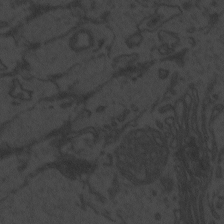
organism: Zebrafish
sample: Macrophage infected with Toxoplasma gondii